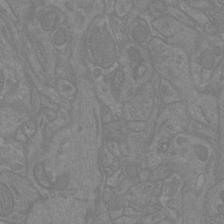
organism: Mouse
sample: Cortical neurons